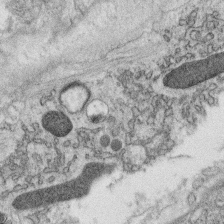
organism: C. elegans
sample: C. elegans oocyte; sperm cells